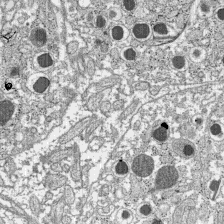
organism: C57BL Mouse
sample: Pancreatic islet